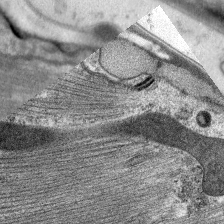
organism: C. elegans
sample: Pharynx